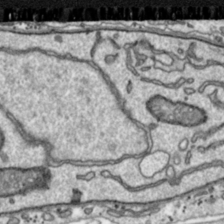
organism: Toxoplasma gondii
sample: Parasites in a vacuole inside a host cell